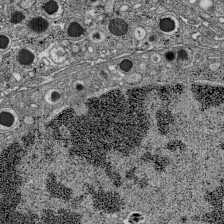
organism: C57BL Mouse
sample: Pancreatic islet